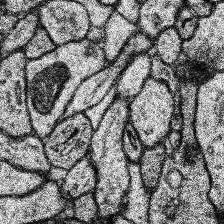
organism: Human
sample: Temporal Lobe